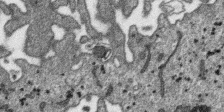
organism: Human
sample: Lung epithelial cells infected with SARS-CoV-2